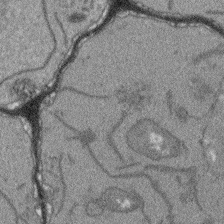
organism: Arabidopsis thaliana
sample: Root tip